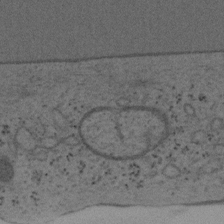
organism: Human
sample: HeLa cells